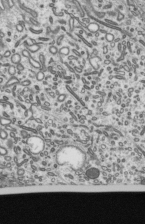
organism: Mouse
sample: Mouse epididymis efferent ductule cilia